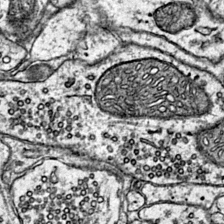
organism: Mouse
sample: Primary visual cortex